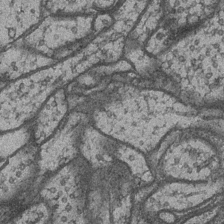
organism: Drosophila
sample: Optic medulla